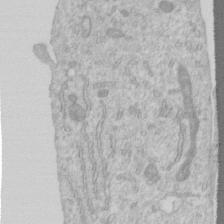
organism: Human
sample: Centriole in RPE cells